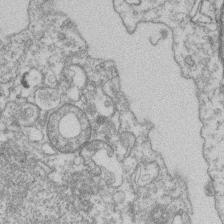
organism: Mouse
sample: T cell stromal cell synapse